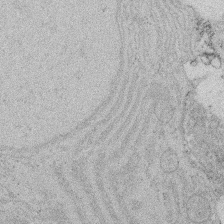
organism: Rat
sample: Salivary granule